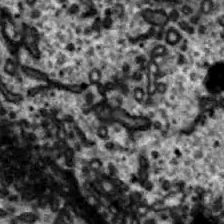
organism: Human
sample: HeLa cells